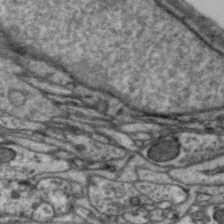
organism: Zebra finch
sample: Brain